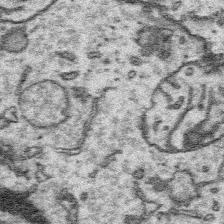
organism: Platynereis dumerilii